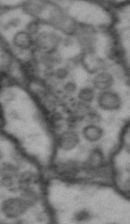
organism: Drosophila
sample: Brain